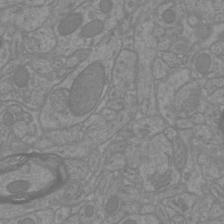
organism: Mouse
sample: Cortical neurons